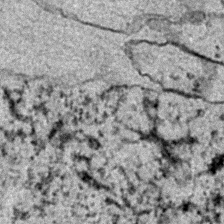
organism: C. elegans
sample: C. elegans embryo